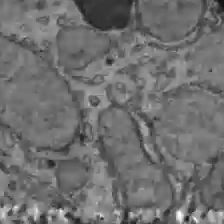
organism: C57BL Mouse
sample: Liver